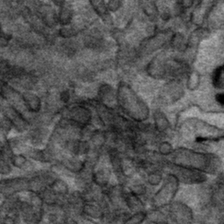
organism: Mouse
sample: Mouse hepatocytes